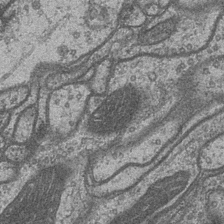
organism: Drosophila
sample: Optic medulla